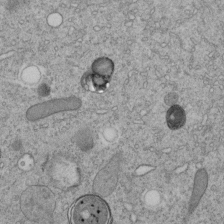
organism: C. elegans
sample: C. elegans embryo early stage